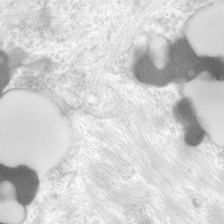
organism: Human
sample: Neocortex